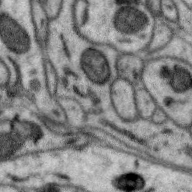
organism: Zebra finch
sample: Brain